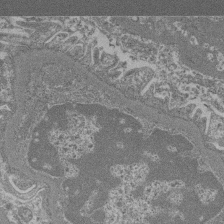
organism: Mouse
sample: Glomerulus